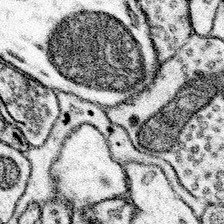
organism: Mouse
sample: Somatosensory cortex neuropil